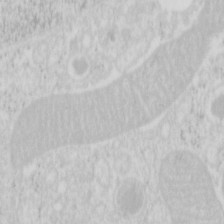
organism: Mouse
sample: Pancreas